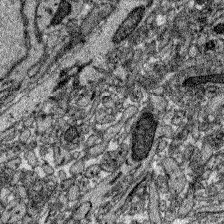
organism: Zebrafish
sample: Larval olfactory bulb